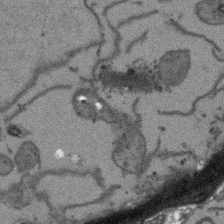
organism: Arabidopsis thaliana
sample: Root tip